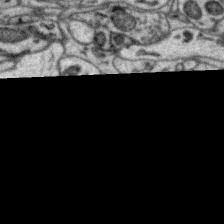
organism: Zebra finch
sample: Brain